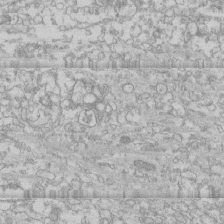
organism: Human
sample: CRL-1474